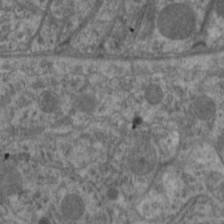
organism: C. elegans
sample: Pharynx